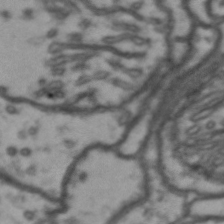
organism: Drosophila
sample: Brain